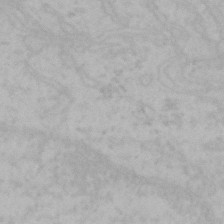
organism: Mouse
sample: Choroid plexus